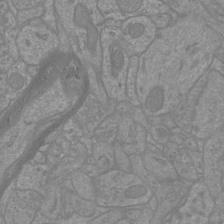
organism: Mouse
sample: Cortical neurons